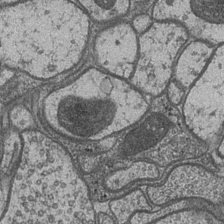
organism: Drosophila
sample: Optic medulla